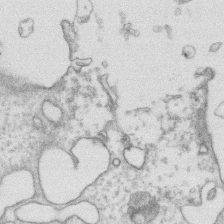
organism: Human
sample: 1205lu cells